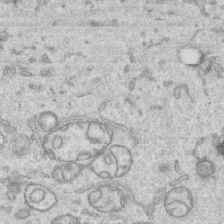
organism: Human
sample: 1205lu cells